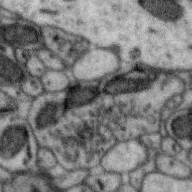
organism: Zebra finch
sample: Brain